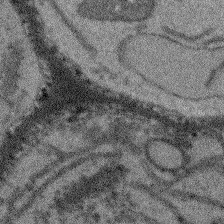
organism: Arabidopsis thaliana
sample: Root tip